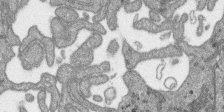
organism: Human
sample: Lung epithelial cells infected with SARS-CoV-2